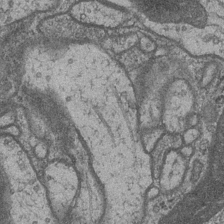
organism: Drosophila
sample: Optic medulla